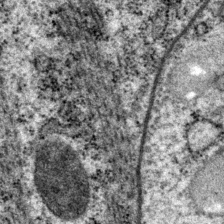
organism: P. pacificus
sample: Pharynx